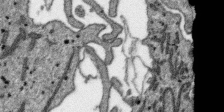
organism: Human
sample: Lung epithelial cells, uninfected (mock) control